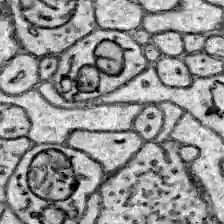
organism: Zebrafish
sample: Brain